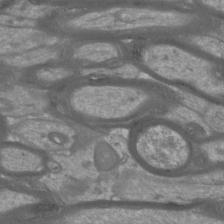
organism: Mouse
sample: Cortical neurons